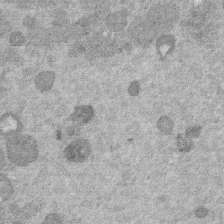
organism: Mouse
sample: Dividing mouse embryo 1 cell stage